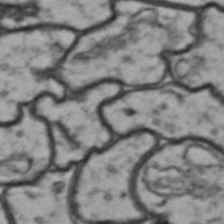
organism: Drosophila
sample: Brain